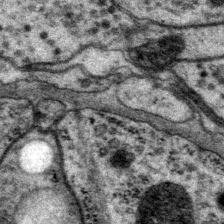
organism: P. pacificus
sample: Pharynx